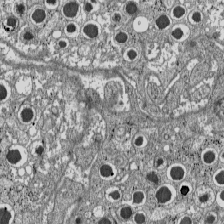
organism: C57BL Mouse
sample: Pancreatic islet